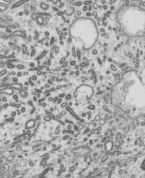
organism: Mouse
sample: Mouse epididymis efferent ductule cilia